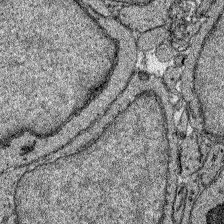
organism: Zebrafish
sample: Larval olfactory bulb